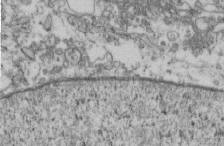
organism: Mouse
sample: Cilia; retinal pigment epithelium